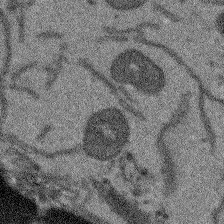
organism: Arabidopsis thaliana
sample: Root tip